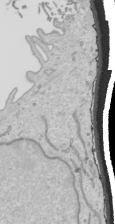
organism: Human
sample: Mitochondria in HCT116 cells